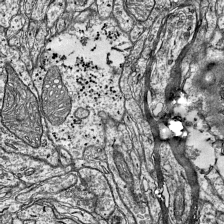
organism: Mouse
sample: Visual Cortex